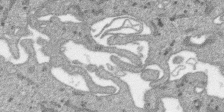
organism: Human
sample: Lung epithelial cells infected with SARS-CoV-2